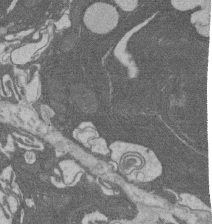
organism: Rat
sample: Salivary granule